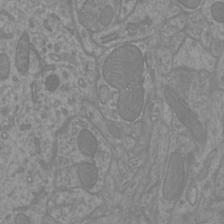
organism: Mouse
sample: Cortical neurons